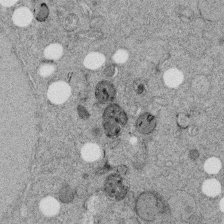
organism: C. elegans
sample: C. elegans embryo early stage